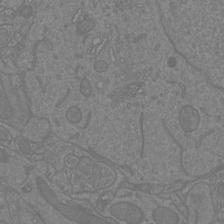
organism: Mouse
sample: Cortical neurons